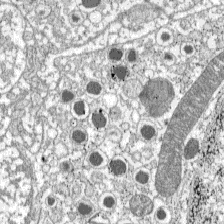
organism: C57BL Mouse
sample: Pancreatic islet